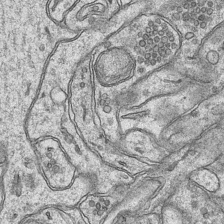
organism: Mouse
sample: CA1 Hippocampus